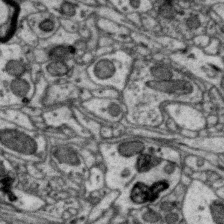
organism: Zebra finch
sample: Brain